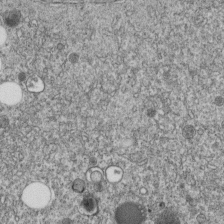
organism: C. elegans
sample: C. elegans embryo early stage